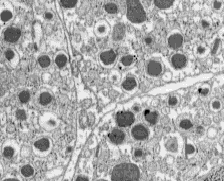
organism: C57BL Mouse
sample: Pancreatic islet